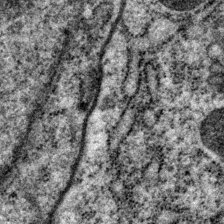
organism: P. pacificus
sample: Pharynx